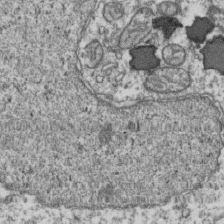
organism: Human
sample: Activated Jurkat CD4+ T cells